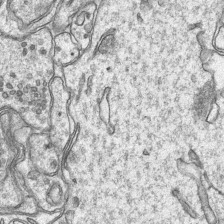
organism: Mouse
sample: CA1 Hippocampus